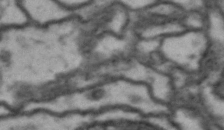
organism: Drosophila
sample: Brain